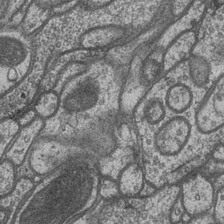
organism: Drosophila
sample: Optic medulla